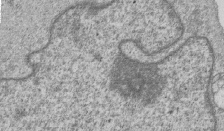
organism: Human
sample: MDA-MB-231 cells